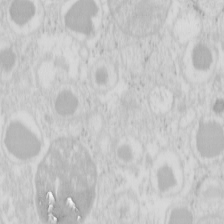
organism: Mouse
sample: Pancreas